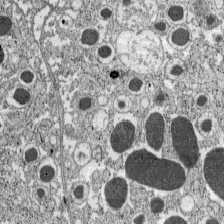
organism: C57BL Mouse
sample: Pancreatic islet